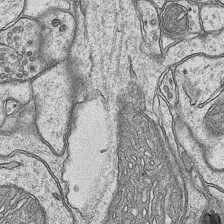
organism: Mouse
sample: CA1 Hippocampus